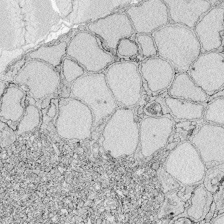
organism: Zebrafish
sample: Whole-Brain